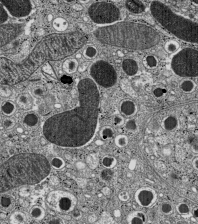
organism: C57BL Mouse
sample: Pancreatic islet